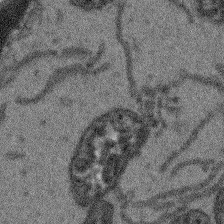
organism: Arabidopsis thaliana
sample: Root tip